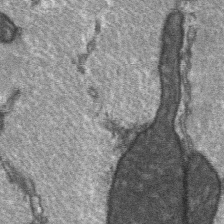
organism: C57BL Mouse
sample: Soleus